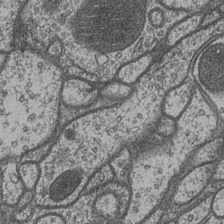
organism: Drosophila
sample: Optic medulla